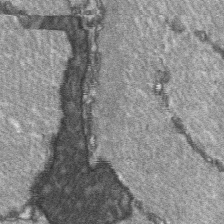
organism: C57BL Mouse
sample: Soleus